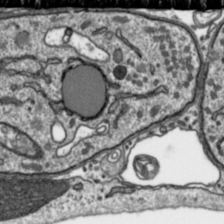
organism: Toxoplasma gondii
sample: Parasites in a vacuole inside a host cell